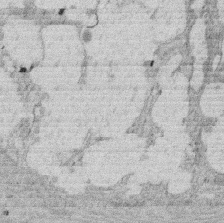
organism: Rat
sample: Salivary granule